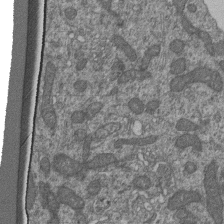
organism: Human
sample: Retinal organoid Rod and Cone cells